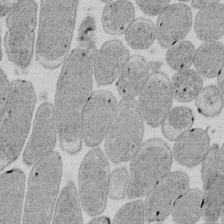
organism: E. coli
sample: Bacterial nucleoid